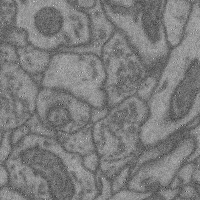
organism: Mouse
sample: Cerebral cortex